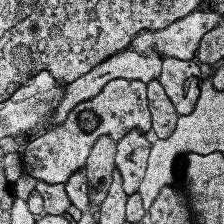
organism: Human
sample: Temporal Lobe